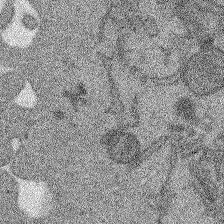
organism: Human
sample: HeLa cells